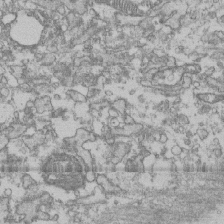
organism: Human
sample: Fibroblast cells